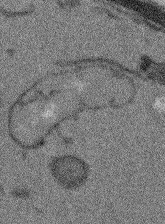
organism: Arabidopsis thaliana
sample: Root tip